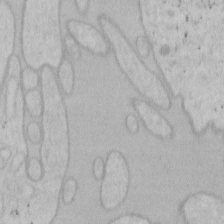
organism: Human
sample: HeLa cells